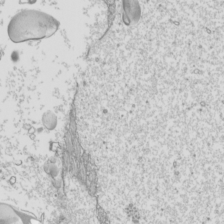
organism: Mouse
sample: Cilia; mouse epididymis